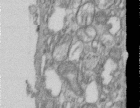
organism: Human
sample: Centriole in RPE cells